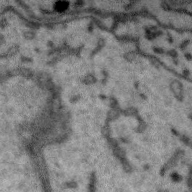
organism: Zebra finch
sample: Brain